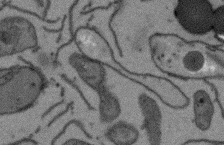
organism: Arabidopsis thaliana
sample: Root tip